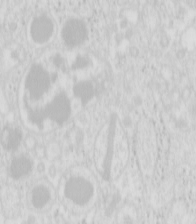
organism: Mouse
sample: Pancreas